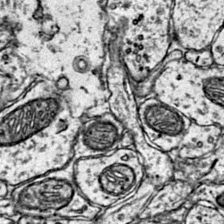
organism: Mouse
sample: Primary visual cortex